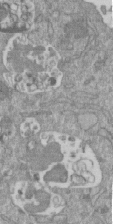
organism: Mouse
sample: ED-1 cell nuclei; centrioles